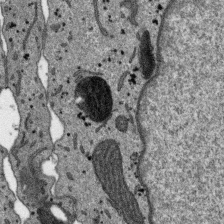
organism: Human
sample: Lung epithelial cells, uninfected (mock) control